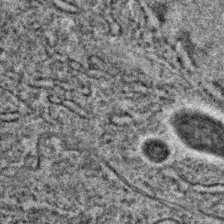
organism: C. elegans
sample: C. elegans embryo